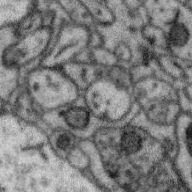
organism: Zebra finch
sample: Brain